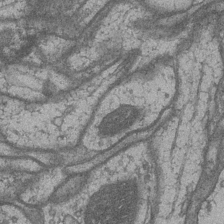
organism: Drosophila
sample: Optic medulla